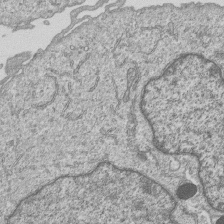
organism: Human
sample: MDA-MB-231 cells